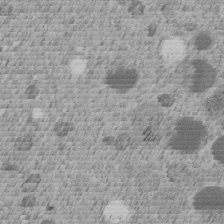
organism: C. elegans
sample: C. elegans embryo early stage